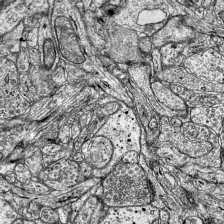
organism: Mouse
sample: Visual Cortex